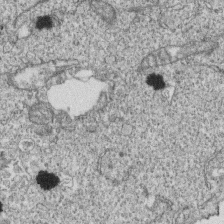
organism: Human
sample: HeLa cell HIV synapse